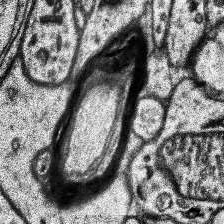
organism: Human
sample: Temporal Lobe